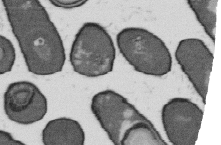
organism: B. subtilis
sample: Bacterial spore